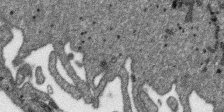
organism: Human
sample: Lung epithelial cells infected with SARS-CoV-2